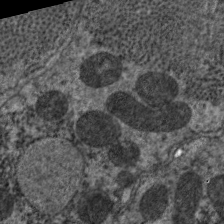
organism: C. elegans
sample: Pharynx